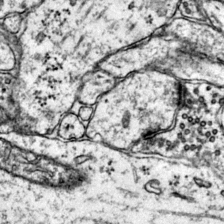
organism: Mouse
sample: Primary visual cortex